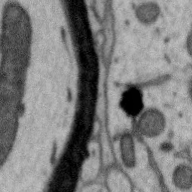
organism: Zebra finch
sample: Brain